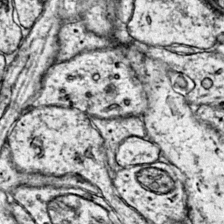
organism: Mouse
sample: Primary visual cortex